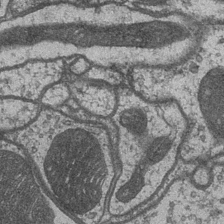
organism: Drosophila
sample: Optic medulla